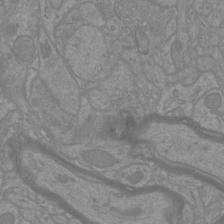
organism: Mouse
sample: Cortical neurons